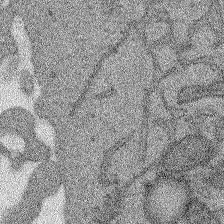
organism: Human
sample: HeLa cells